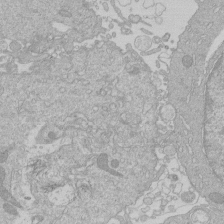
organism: Human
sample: Macrophage cells